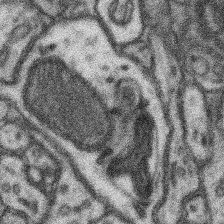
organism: Mouse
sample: Somatosensory cortex neuropil